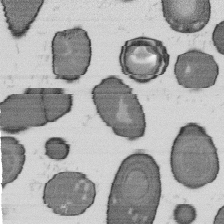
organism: B. subtilis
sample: Bacterial spore